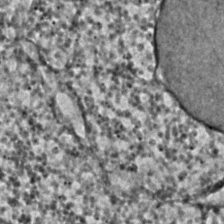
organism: C. elegans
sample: C. elegans embryo